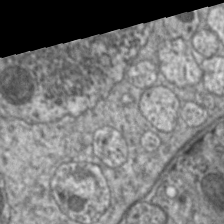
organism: C. elegans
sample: Pharynx